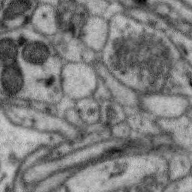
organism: Zebra finch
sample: Brain